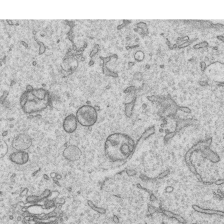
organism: Human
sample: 1205lu cells